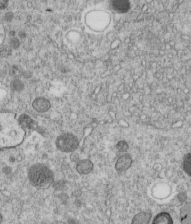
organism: C. elegans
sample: C. elegans embryo early stage